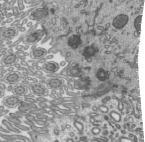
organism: Mouse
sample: Mouse epididymis efferent ductule cilia